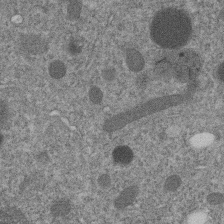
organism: C. elegans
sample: C. elegans embryo early stage